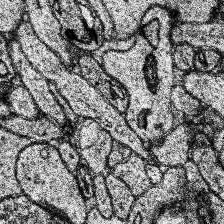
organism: Human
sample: Temporal Lobe